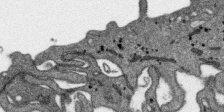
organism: Human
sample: Lung epithelial cells, uninfected (mock) control